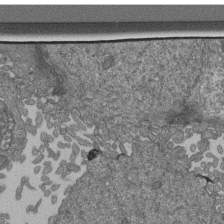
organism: Human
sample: Retinal organoid Rod and Cone cells